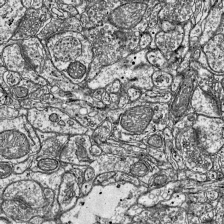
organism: Mouse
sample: Visual Cortex